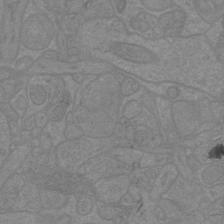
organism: Mouse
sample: Cortical neurons